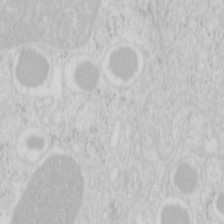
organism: Mouse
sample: Pancreas